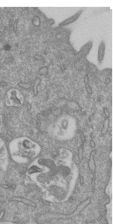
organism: Mouse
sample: ED-1 cell nuclei; centrioles